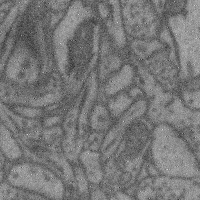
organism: Mouse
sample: Cerebral cortex